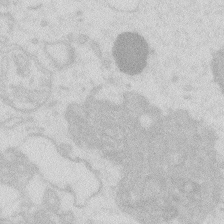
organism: Zebrafish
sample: Macrophage